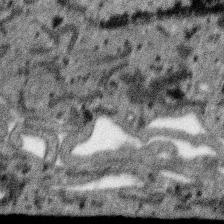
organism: Human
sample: Lung epithelial cells infected with SARS-CoV-2